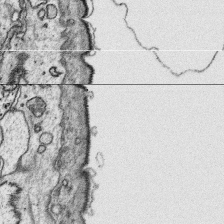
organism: Platynereis dumerilii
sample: Parapodia